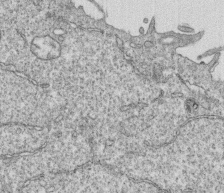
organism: Human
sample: HeLa cell HIV synapse